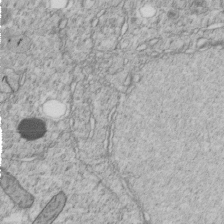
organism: C. elegans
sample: C. elegans embryo early stage